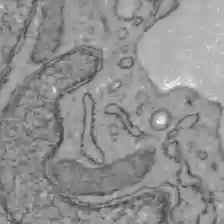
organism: C57BL Mouse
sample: Liver